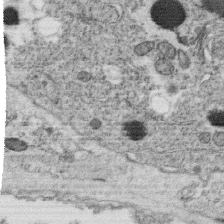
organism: C. elegans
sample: C. elegans oocyte; sperm cells